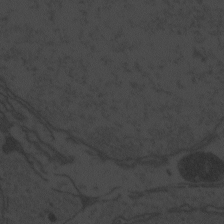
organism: Zebrafish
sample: Macrophage infected with Toxoplasma gondii